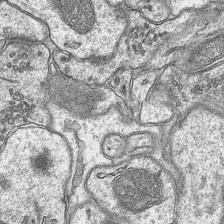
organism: Mouse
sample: CA1 Hippocampus